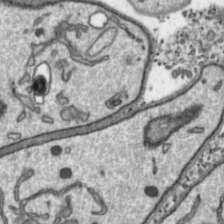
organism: Toxoplasma gondii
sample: Parasites in a vacuole inside a host cell